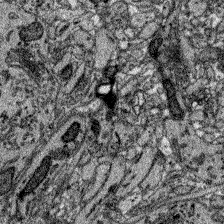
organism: Zebrafish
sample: Larval olfactory bulb